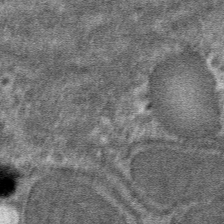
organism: Mouse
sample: Mouse hepatocytes